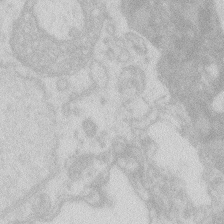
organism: Zebrafish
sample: Macrophage